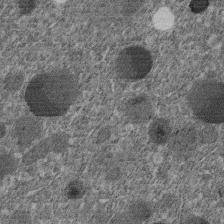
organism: C. elegans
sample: C. elegans embryo early stage